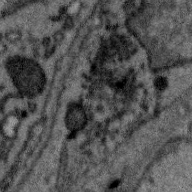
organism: Zebra finch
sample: Brain